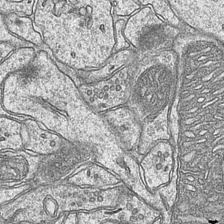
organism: Mouse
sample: CA1 Hippocampus